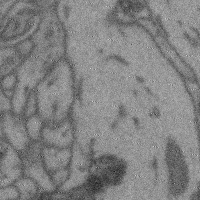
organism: Mouse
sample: Cerebral cortex